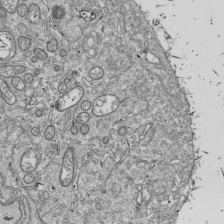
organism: Drosophila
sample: Cell division; meiosis; drosophila spermatocytes